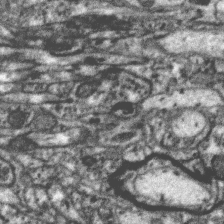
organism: Zebra finch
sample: Brain